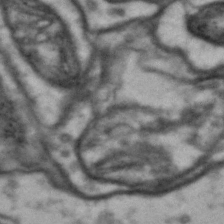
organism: Drosophila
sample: Brain